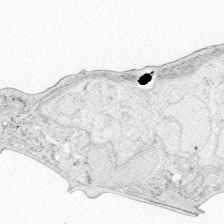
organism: Zebrafish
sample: Whole-Brain